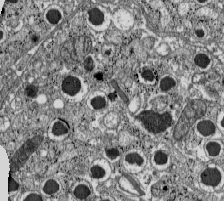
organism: C57BL Mouse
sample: Pancreatic islet